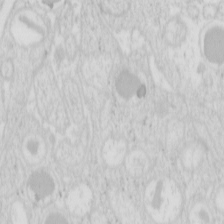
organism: Mouse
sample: Pancreas